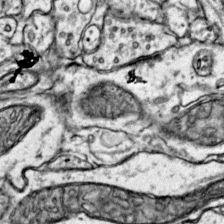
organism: Mouse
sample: Primary visual cortex